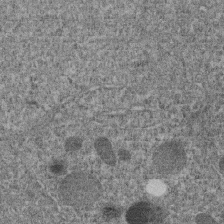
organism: C. elegans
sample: C. elegans embryo early stage